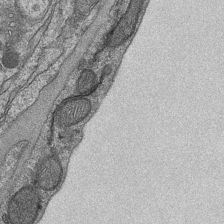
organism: Mouse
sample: CA1 Hippocampus